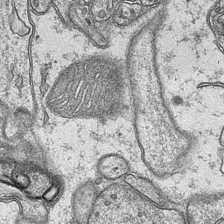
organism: Mouse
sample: CA1 Hippocampus